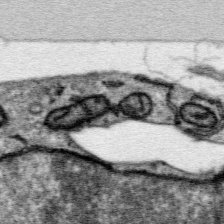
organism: Human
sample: HeLa cells